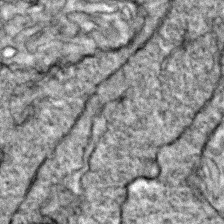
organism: Zebrafish